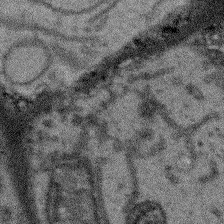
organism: Arabidopsis thaliana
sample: Root tip